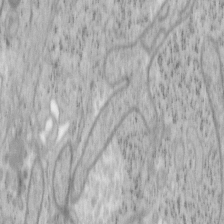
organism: Human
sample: HeLa cells